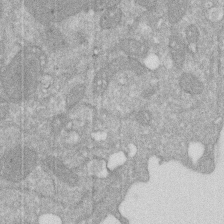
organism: Human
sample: HIV infected U937 cells